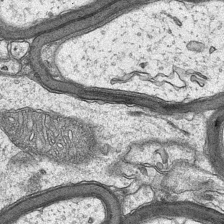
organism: Mouse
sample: CA1 Hippocampus